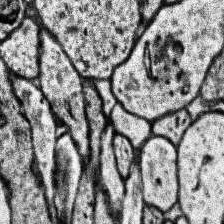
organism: Human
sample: Temporal Lobe